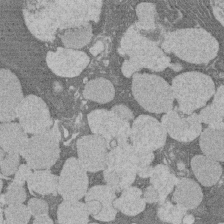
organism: Rat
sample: Salivary granule